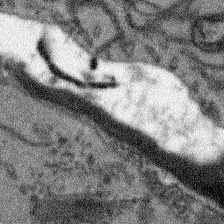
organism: Arabidopsis thaliana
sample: Root tip